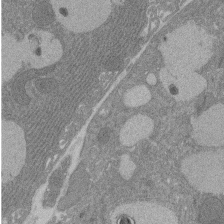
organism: Rat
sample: Salivary granule